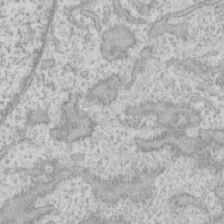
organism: Human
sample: CRL-1474